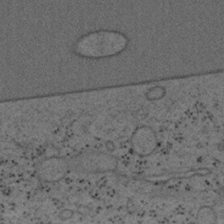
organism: Human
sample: HeLa cells